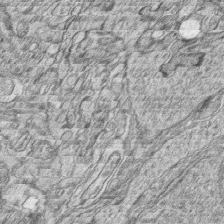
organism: Zebrafish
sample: synaptic ribbons in rod cells and cone cells